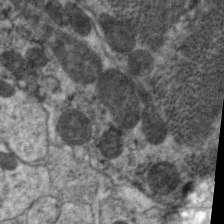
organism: C. elegans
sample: Pharynx